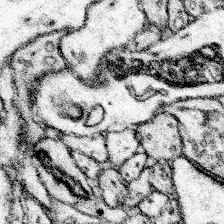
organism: Mouse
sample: Somatosensory cortex neuropil